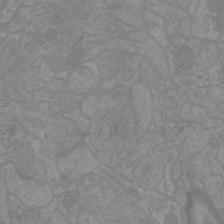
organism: Mouse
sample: Cortical neurons